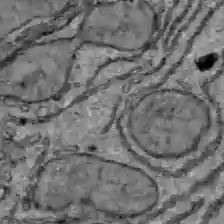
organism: C57BL Mouse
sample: Liver